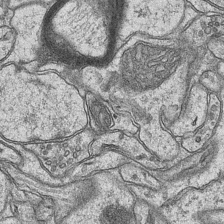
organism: Mouse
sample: CA1 Hippocampus